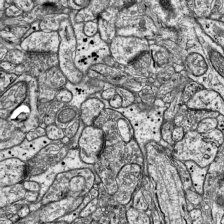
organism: Mouse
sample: Visual Cortex